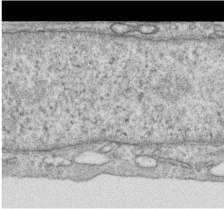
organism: Human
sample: Centriole in RPE cells